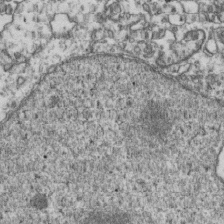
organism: Human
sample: Activated Jurkat CD4+ T cells